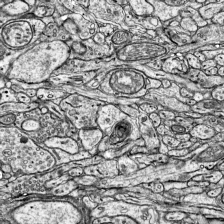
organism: Mouse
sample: Visual Cortex